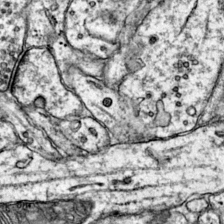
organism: Mouse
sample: Primary visual cortex